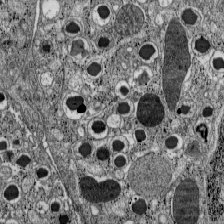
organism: C57BL Mouse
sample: Pancreatic islet